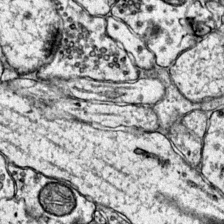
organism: Mouse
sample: Primary visual cortex